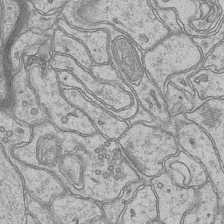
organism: Mouse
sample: CA1 Hippocampus